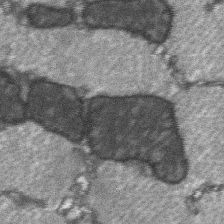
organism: C57BL Mouse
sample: Soleus